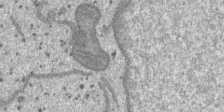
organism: Human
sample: Lung epithelial cells infected with SARS-CoV-2